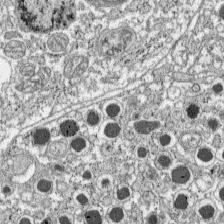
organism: C57BL Mouse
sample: Pancreatic islet